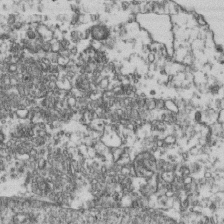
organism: Human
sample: Activated Jurkat CD4+ T cells